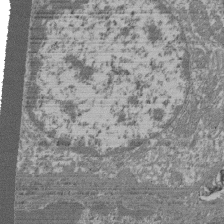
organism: Mouse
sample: Glomerulus